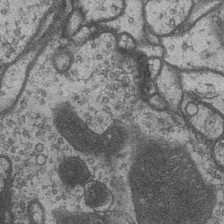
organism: Drosophila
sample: Optic medulla